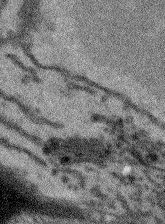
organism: Arabidopsis thaliana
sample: Root tip